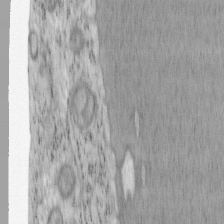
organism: Human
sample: HeLa cells